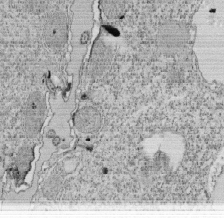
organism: Tetrahymena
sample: Cilia in tetrahymena